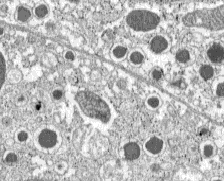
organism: C57BL Mouse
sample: Pancreatic islet